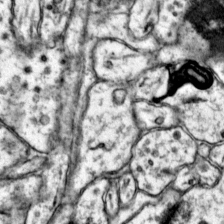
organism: Mouse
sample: Primary visual cortex